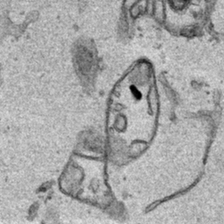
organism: Human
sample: Mitochondria in HCT116 cells